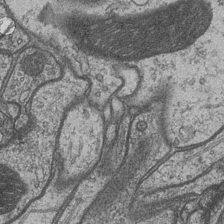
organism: Drosophila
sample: Optic medulla